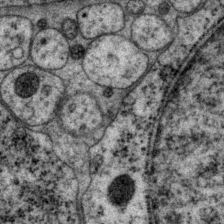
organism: P. pacificus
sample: Pharynx